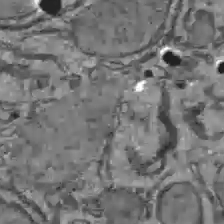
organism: C57BL Mouse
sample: Liver